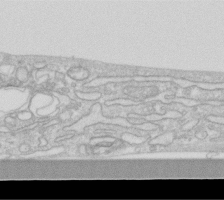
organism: Human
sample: Fibroblast cells